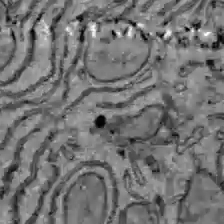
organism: C57BL Mouse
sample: Liver